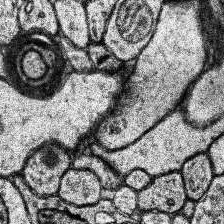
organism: Human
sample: Temporal Lobe